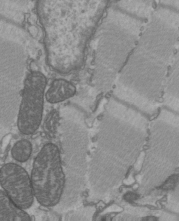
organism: C57BL Mouse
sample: Heart